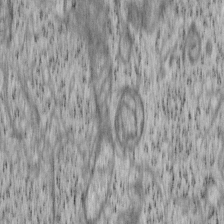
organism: Human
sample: HeLa cells